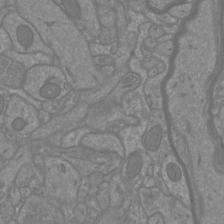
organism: Mouse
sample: Cortical neurons